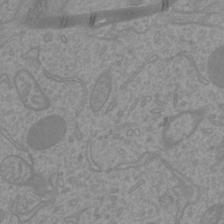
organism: Mouse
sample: Cortical neurons